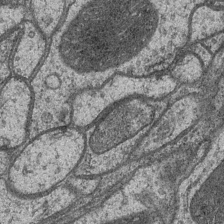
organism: Drosophila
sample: Optic medulla